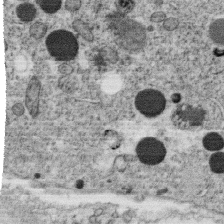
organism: C. elegans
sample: C. elegans oocyte; sperm cells